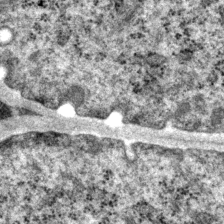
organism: P. pacificus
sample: Pharynx